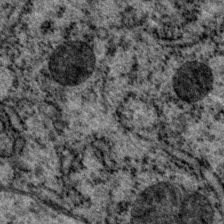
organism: P. pacificus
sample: Pharynx